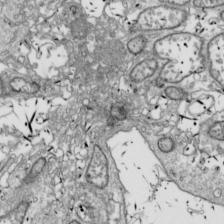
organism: Drosophila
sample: Cell division; meiosis; drosophila spermatocytes